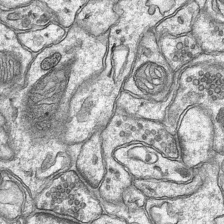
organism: Mouse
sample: CA1 Hippocampus